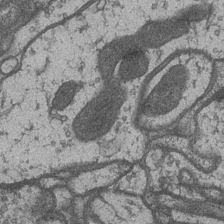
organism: Drosophila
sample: Optic medulla